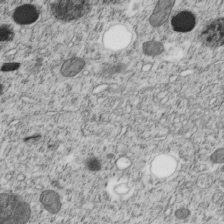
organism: C. elegans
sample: C. elegans embryo early stage